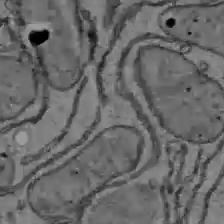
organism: C57BL Mouse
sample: Liver